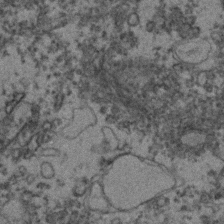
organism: Zebrafish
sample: Zebrafish embryo